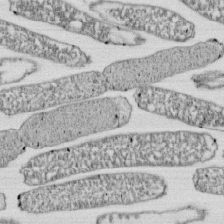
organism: E. coli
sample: Bacterial nucleoid